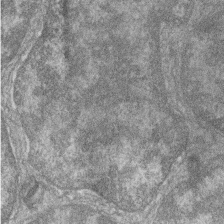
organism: Zebrafish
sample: Cilia; retinal pigment epithelium